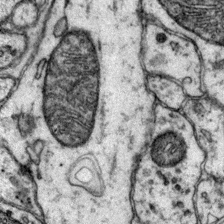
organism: Mouse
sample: Primary visual cortex